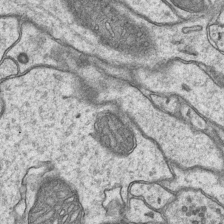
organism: Mouse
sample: CA1 Hippocampus